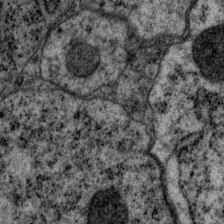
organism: P. pacificus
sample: Pharynx